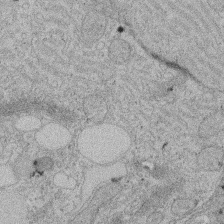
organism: Rat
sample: Salivary granule